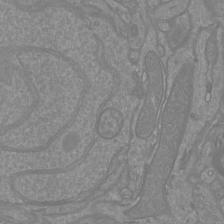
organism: Mouse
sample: Cortical neurons